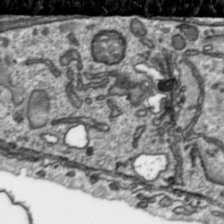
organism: Toxoplasma gondii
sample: Parasites in a vacuole inside a host cell